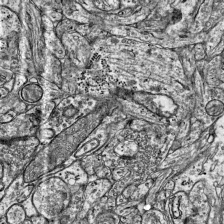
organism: Mouse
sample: Visual Cortex